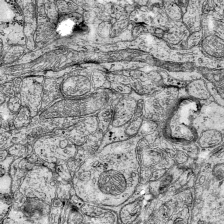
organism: Mouse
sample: Visual Cortex